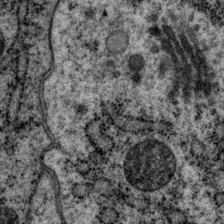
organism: P. pacificus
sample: Pharynx